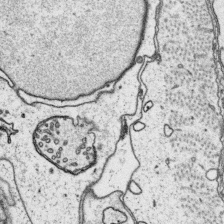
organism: Platynereis dumerilii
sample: Parapodia